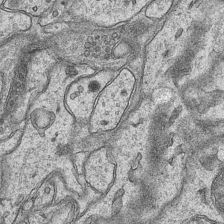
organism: Mouse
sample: CA1 Hippocampus